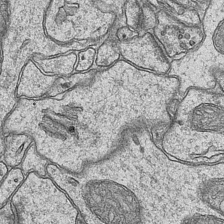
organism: Mouse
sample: CA1 Hippocampus